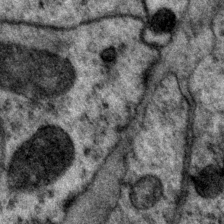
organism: P. pacificus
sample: Pharynx